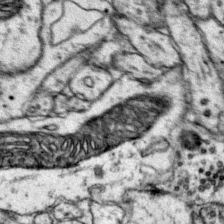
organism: Mouse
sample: Primary visual cortex